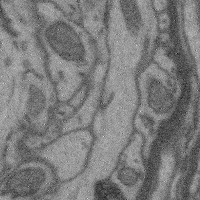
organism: Mouse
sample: Cerebral cortex